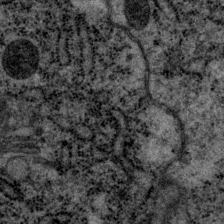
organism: P. pacificus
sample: Pharynx